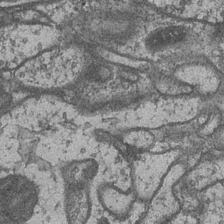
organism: Drosophila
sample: Optic medulla